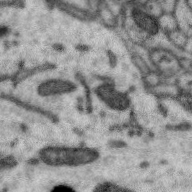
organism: Zebra finch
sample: Brain